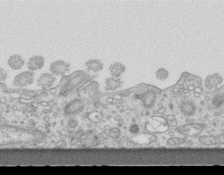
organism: Mouse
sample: Centriole in ependymal cells